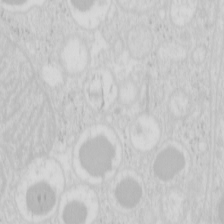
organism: Mouse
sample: Pancreas